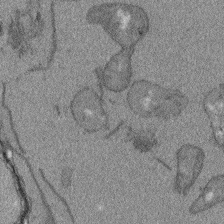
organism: Arabidopsis thaliana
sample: Root tip